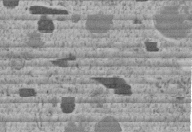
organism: C. elegans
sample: C. elegans embryo early stage